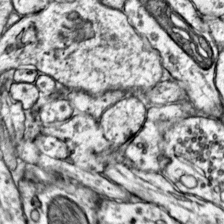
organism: Mouse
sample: Primary visual cortex